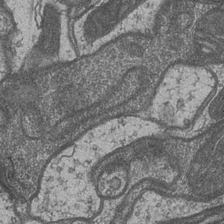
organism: Drosophila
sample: Optic medulla